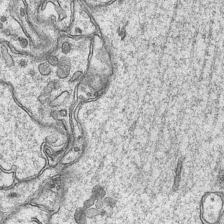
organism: Mouse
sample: CA1 Hippocampus